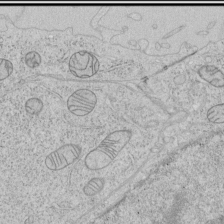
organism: Human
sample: Mitochondria in HCT116 cells